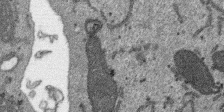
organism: Human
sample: Lung epithelial cells infected with SARS-CoV-2